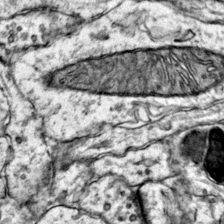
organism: Mouse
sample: Primary visual cortex